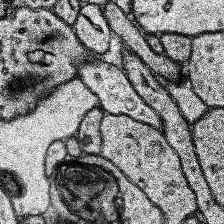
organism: Human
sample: Temporal Lobe